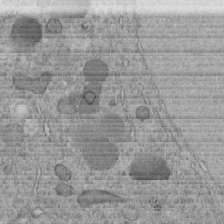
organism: C. elegans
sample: C. elegans embryo early stage